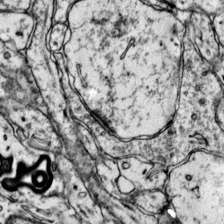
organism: Mouse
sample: Primary visual cortex